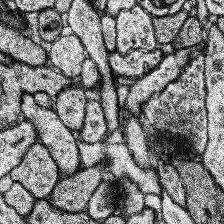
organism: Human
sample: Temporal Lobe